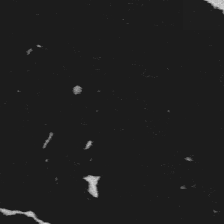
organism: Platynereis dumerilii